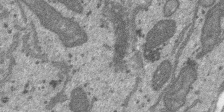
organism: Human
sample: Lung epithelial cells infected with SARS-CoV-2